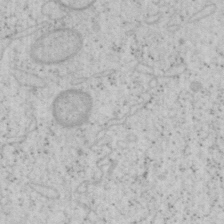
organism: Human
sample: HeLa cells